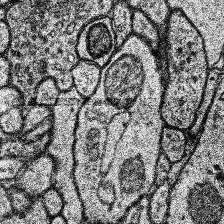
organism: Human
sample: Temporal Lobe